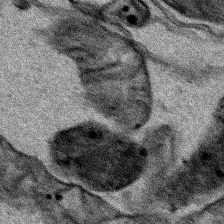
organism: Human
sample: Mitochondria in HCT116 cells